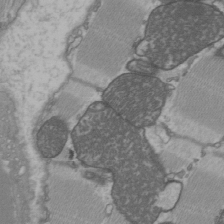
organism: C57BL Mouse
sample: Heart